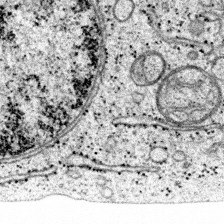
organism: Human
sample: HeLa cells